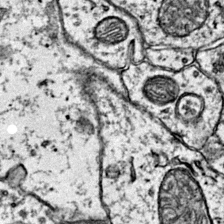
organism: Mouse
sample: Primary visual cortex